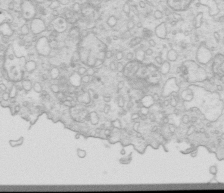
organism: Mouse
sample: Multiciliated cells